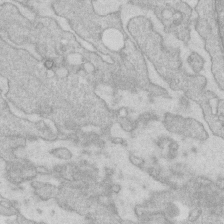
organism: Human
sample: Fibroblast cells